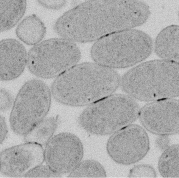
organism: E. coli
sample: Bacterial nucleoid